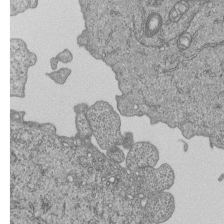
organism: Human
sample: MDA-MB-231 cells